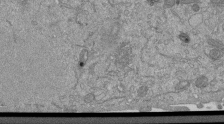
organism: Mouse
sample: ED-1 cell nuclei; centrioles